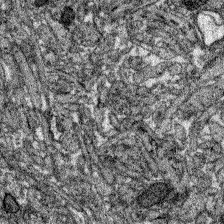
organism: Zebrafish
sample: Larval olfactory bulb